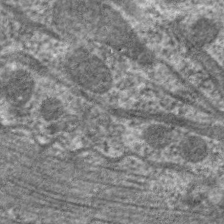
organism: C. elegans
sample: Pharynx